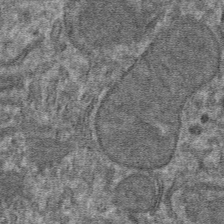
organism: Mouse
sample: Mouse hepatocytes